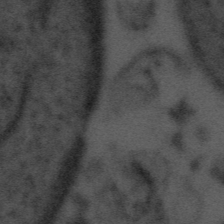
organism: Tuwongella immobilis